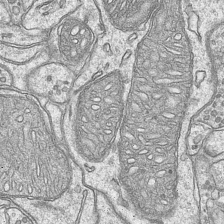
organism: Mouse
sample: CA1 Hippocampus